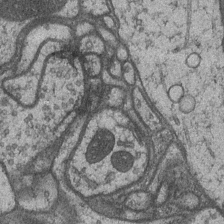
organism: Drosophila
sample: Optic medulla